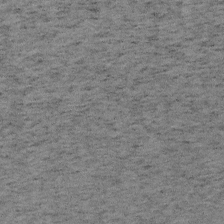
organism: Mouse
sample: OT-I killer T cells with ID8 ovarian cancer cells